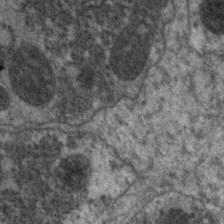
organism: C. elegans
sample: Pharynx